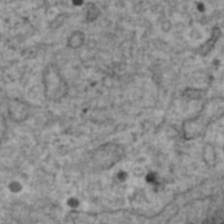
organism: Human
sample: Blood